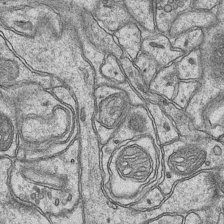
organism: Mouse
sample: CA1 Hippocampus